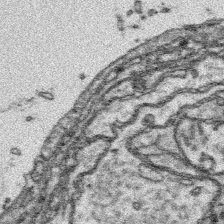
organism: Platynereis dumerilii